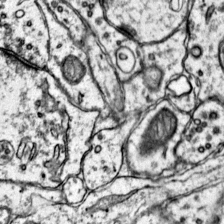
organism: Mouse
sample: Primary visual cortex